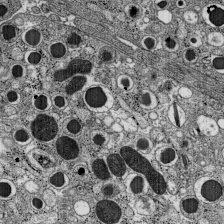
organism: C57BL Mouse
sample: Pancreatic islet